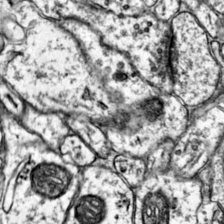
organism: Mouse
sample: Primary visual cortex